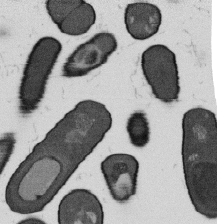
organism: B. subtilis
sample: Bacterial spore